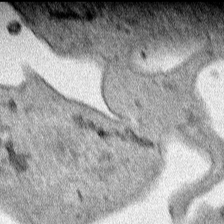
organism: Human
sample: Mitochondria in HCT116 cells